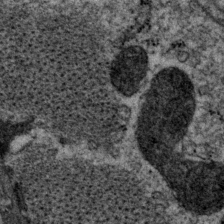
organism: P. pacificus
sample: Pharynx